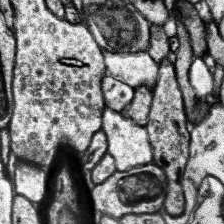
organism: Human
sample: Temporal Lobe